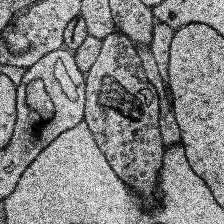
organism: Human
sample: Temporal Lobe